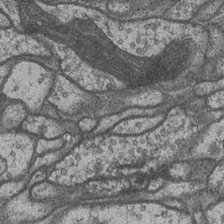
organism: Drosophila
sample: Optic medulla